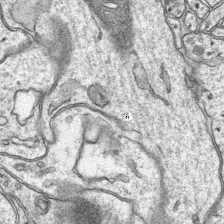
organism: Mouse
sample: CA1 Hippocampus